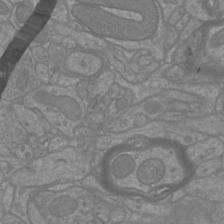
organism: Mouse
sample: Cortical neurons